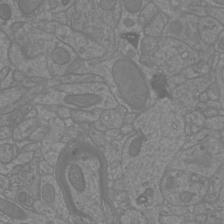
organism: Mouse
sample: Cortical neurons